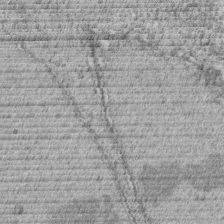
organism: C. elegans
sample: C. elegans embryo early stage